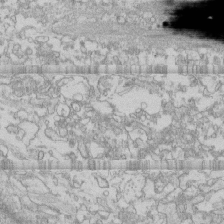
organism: Human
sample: CRL-1474